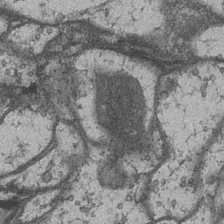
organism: Drosophila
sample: Optic medulla